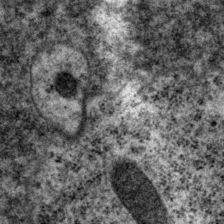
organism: P. pacificus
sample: Pharynx